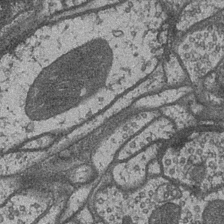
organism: Drosophila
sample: Optic medulla